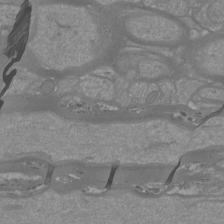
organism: Mouse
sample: Cortical neurons